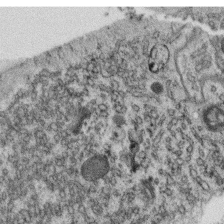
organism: C. elegans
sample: C. elegans oocyte; sperm cells